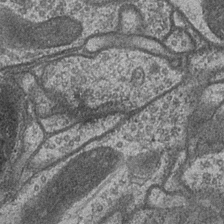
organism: Drosophila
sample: Optic medulla